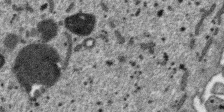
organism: Human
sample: Lung epithelial cells infected with SARS-CoV-2